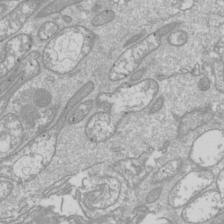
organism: Drosophila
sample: Cell division; meiosis; drosophila spermatocytes